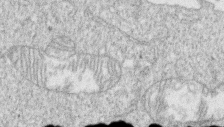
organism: Human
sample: HeLa cell HIV synapse